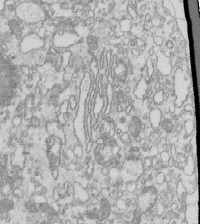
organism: Mouse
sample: Macrophages